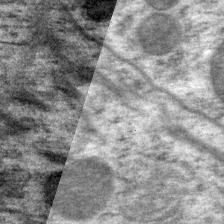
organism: P. pacificus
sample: Pharynx